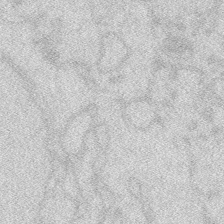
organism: Zebrafish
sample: Macrophage